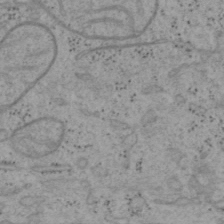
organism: Human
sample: HeLa cells